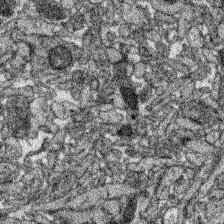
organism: Zebrafish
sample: Larval olfactory bulb